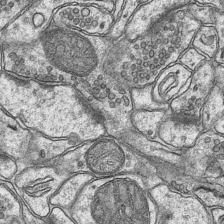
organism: Mouse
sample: CA1 Hippocampus